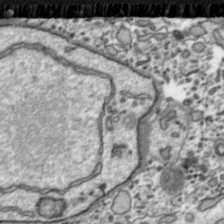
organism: Toxoplasma gondii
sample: Parasites in a vacuole inside a host cell